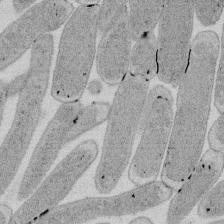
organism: E. coli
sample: Bacterial nucleoid